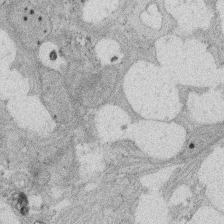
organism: Rat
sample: Salivary granule